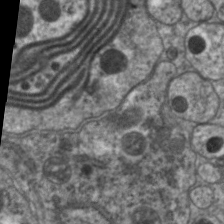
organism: C. elegans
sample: Pharynx